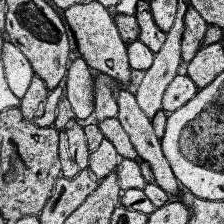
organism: Human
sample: Temporal Lobe